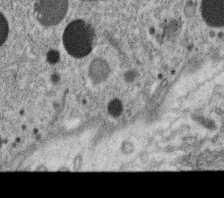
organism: C. elegans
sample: C. elegans oocyte; sperm cells